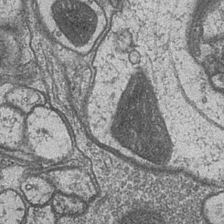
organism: Drosophila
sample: Optic medulla